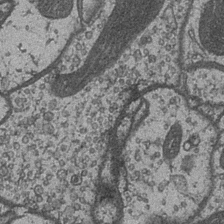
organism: Drosophila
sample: Optic medulla